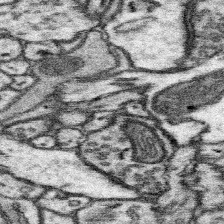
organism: Mouse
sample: Somatosensory cortex neuropil